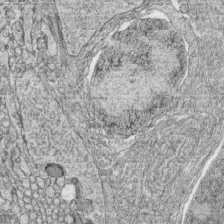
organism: Zebrafish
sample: synaptic ribbons in rod cells and cone cells